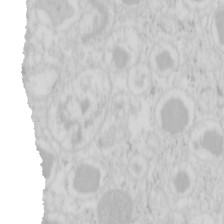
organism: Mouse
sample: Pancreas